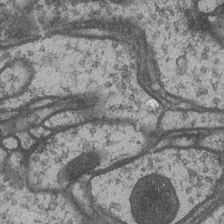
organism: Drosophila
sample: Optic medulla